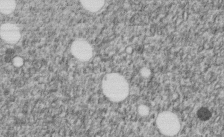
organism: C. elegans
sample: C. elegans embryo early stage